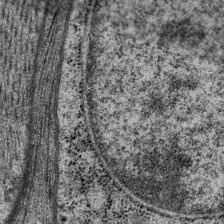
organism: P. pacificus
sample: Pharynx